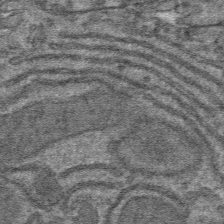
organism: Mouse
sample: Mouse hepatocytes